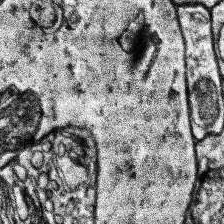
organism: Human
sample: Temporal Lobe